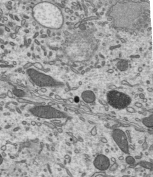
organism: Mouse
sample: Mouse epididymis efferent ductule cilia